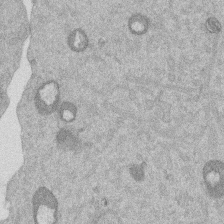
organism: Mouse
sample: Dividing mouse embryo 1 cell stage